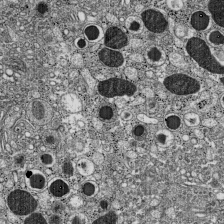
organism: C57BL Mouse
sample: Pancreatic islet